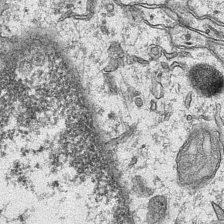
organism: Mouse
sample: CA1 Hippocampus